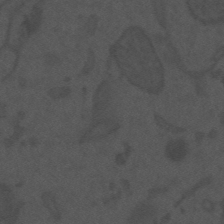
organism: Mouse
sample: Suprachiasmatic nucleus